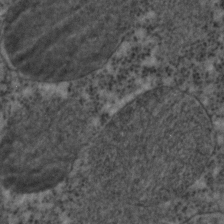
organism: C. elegans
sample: C. elegans embryo